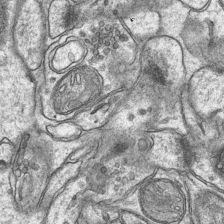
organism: Mouse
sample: CA1 Hippocampus